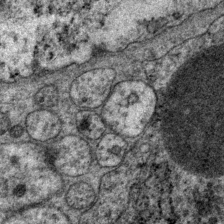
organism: P. pacificus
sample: Pharynx